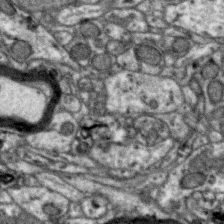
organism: Zebra finch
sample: Brain